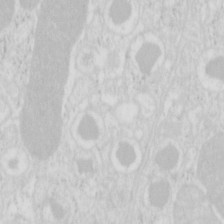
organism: Mouse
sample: Pancreas